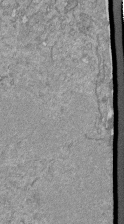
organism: Mouse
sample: ED-1 cell nuclei; centrioles